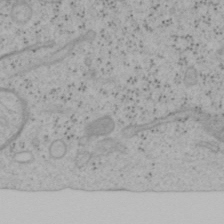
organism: Human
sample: HeLa cells